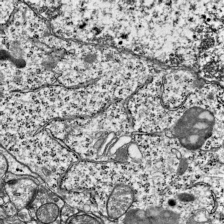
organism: Mouse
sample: Visual Cortex